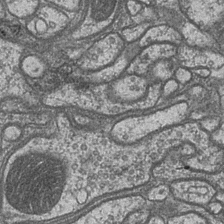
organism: Drosophila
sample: Optic medulla